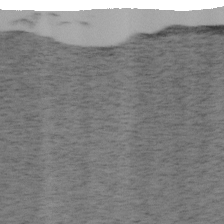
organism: Mouse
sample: OT-I killer T cells with ID8 ovarian cancer cells